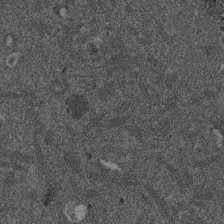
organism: Mouse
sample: Dividing mouse embryo 1 cell stage